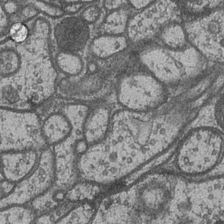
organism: Drosophila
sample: Optic medulla